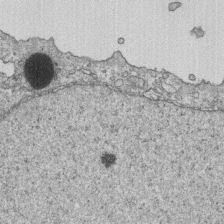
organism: Human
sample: HeLa cell HIV synapse